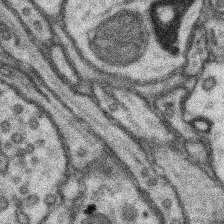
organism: Mouse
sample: Somatosensory cortex neuropil